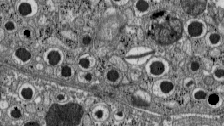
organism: C57BL Mouse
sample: Pancreatic islet